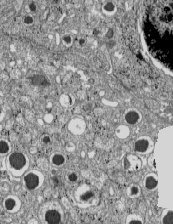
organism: C57BL Mouse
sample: Pancreatic islet